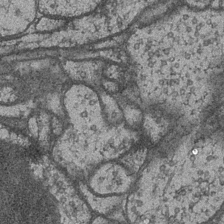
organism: Drosophila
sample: Optic medulla